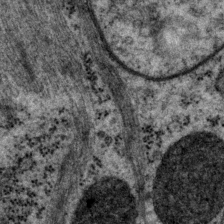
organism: P. pacificus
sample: Pharynx